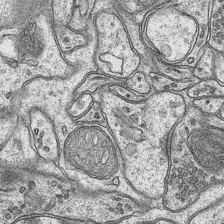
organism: Mouse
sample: CA1 Hippocampus